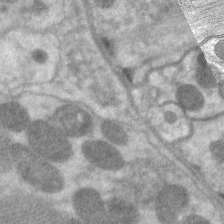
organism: C. elegans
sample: Pharynx